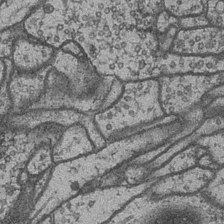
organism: Drosophila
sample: Optic medulla